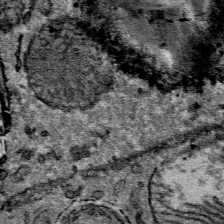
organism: Mouse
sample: Mouse Salivary gland